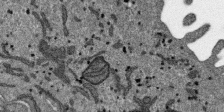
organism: Human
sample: Lung epithelial cells, uninfected (mock) control